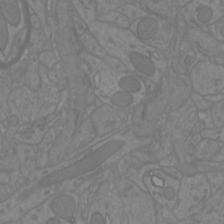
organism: Mouse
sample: Cortical neurons